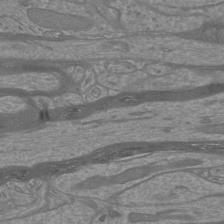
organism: Mouse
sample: Cortical neurons